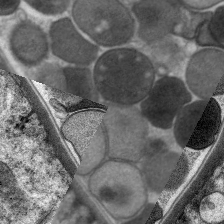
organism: C. elegans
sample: Pharynx